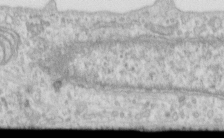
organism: Human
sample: Centriole in RPE cells